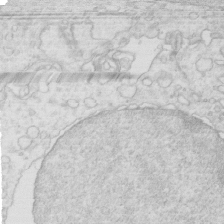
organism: Mouse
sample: Multiciliated cells